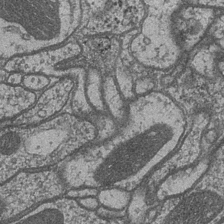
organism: Drosophila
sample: Optic medulla